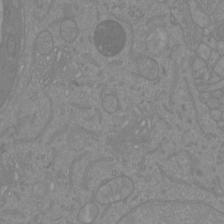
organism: Mouse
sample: Cortical neurons